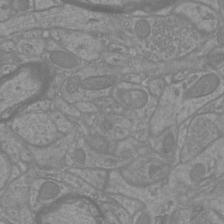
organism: Mouse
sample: Cortical neurons